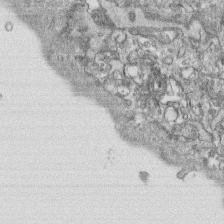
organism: Human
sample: CRL-1474